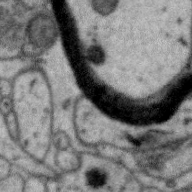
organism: Zebra finch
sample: Brain